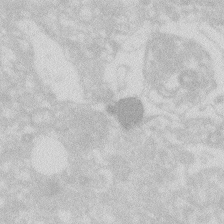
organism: Zebrafish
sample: Macrophage